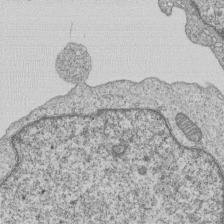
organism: Human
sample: MDA-MB-231 cells